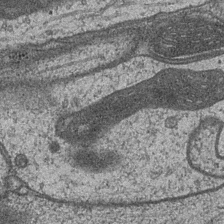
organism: Drosophila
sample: Optic medulla